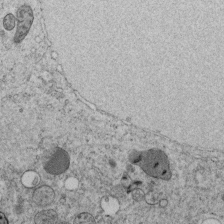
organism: C. elegans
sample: C. elegans embryo early stage